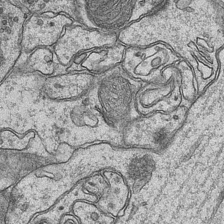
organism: Mouse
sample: CA1 Hippocampus